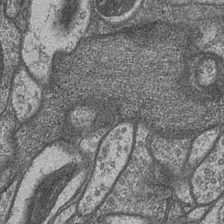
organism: Drosophila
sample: Optic medulla